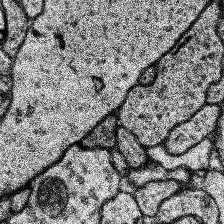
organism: Human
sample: Temporal Lobe